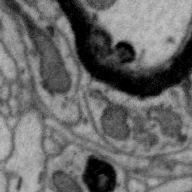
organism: Zebra finch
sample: Brain